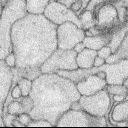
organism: Rabbit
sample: Retina